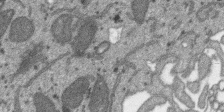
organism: Human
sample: Lung epithelial cells infected with SARS-CoV-2